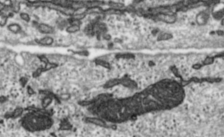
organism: Toxoplasma gondii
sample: Parasites in a vacuole inside a host cell